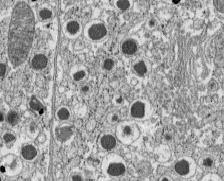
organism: C57BL Mouse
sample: Pancreatic islet